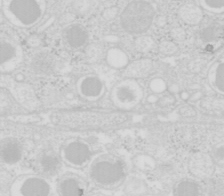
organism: Mouse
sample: Pancreas